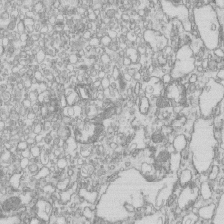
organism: Mouse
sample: Macrophages